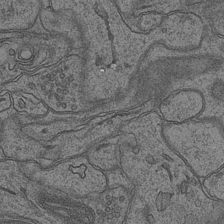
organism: Mouse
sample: CA1 Hippocampus